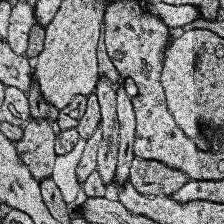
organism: Human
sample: Temporal Lobe